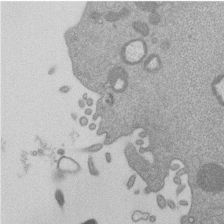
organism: Mouse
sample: Dividing mouse embryo 1 cell stage